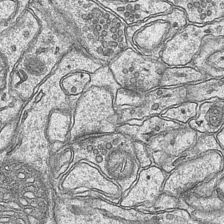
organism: Mouse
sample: CA1 Hippocampus